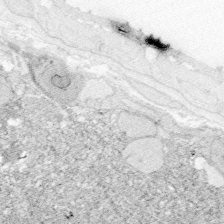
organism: Zebrafish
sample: Whole-Brain